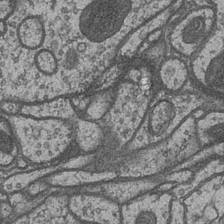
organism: Drosophila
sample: Optic medulla